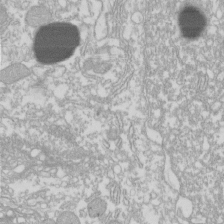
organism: Xenopus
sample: Cilia; centrioles in frog embryo cells